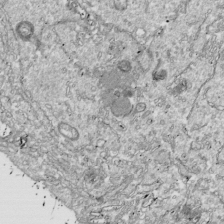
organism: Drosophila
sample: Cell division; meiosis; drosophila spermatocytes